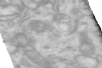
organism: Human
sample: Centriole in RPE cells